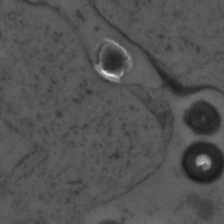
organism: Zebrafish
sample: Zebrafish embryo